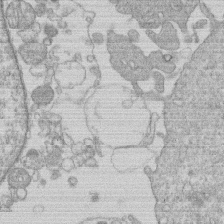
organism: Human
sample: Macrophage cells